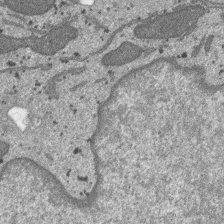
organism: Human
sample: Lung epithelial cells infected with SARS-CoV-2